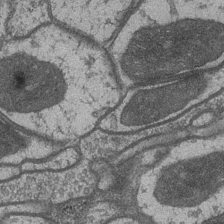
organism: Drosophila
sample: Optic medulla